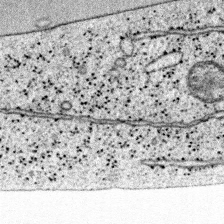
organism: Human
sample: HeLa cells